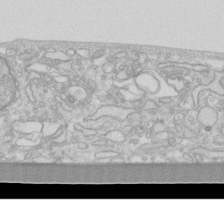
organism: Human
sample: Fibroblast cells